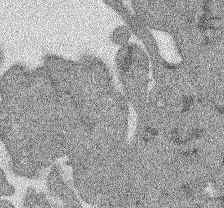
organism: Human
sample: HeLa cells